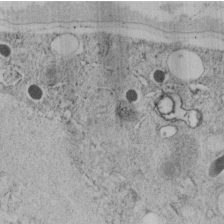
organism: C. elegans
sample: C. elegans embryo early stage